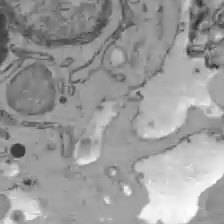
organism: C57BL Mouse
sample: Liver